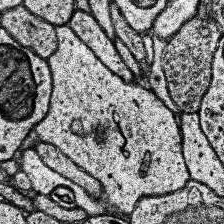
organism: Human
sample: Temporal Lobe